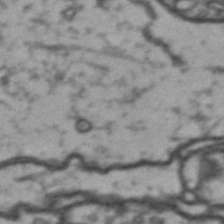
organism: Drosophila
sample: Brain